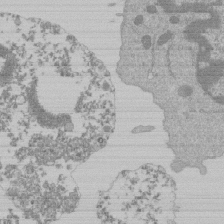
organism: Mouse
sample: Activated Pmel transgenic CD8+ T Cells